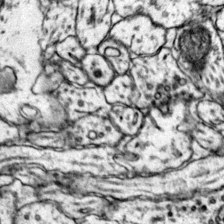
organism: Mouse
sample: Primary visual cortex